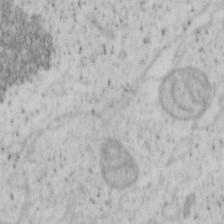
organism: Human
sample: HeLa cells